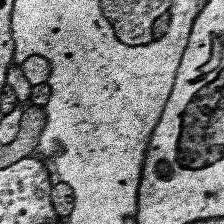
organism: Human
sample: Temporal Lobe